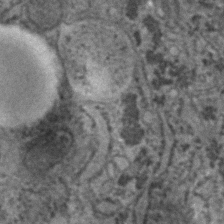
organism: Human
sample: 1205lu cells